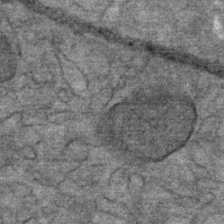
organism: Mouse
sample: Mouse Salivary gland